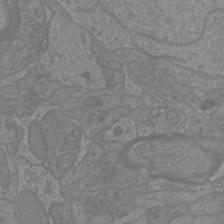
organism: Mouse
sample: Cortical neurons